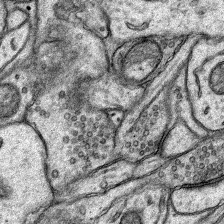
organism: Rat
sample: Hippocampus